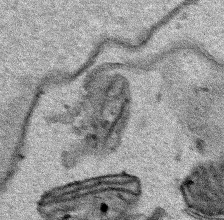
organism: Human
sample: Mitochondria in HCT116 cells